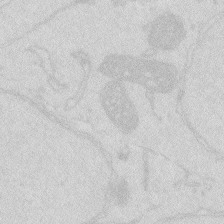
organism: Zebrafish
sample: Macrophage